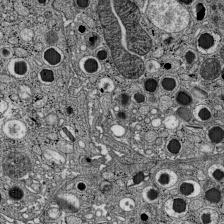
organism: C57BL Mouse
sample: Pancreatic islet